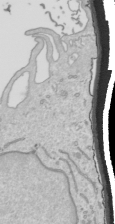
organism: Human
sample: Mitochondria in HCT116 cells